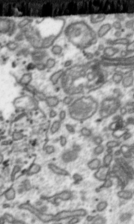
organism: Toxoplasma gondii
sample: Parasites in a vacuole inside a host cell